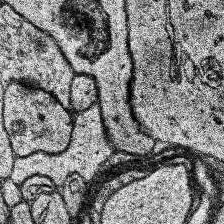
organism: Human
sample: Temporal Lobe